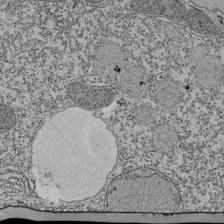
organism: Tetrahymena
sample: Cilia in tetrahymena